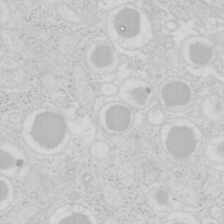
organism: Mouse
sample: Pancreas